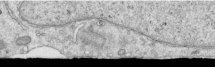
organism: Human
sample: Centriole in RPE cells